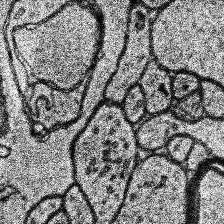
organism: Human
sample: Temporal Lobe